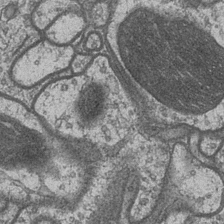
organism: Drosophila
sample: Optic medulla